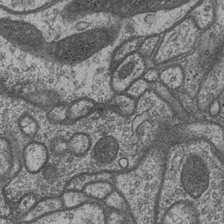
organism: Drosophila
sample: Optic medulla